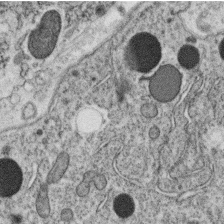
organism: C. elegans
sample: C. elegans oocyte; sperm cells